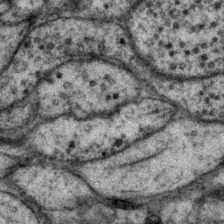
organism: P. pacificus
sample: Pharynx